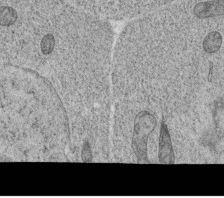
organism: C. elegans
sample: C. elegans oocyte; sperm cells